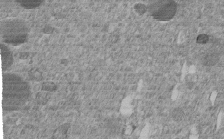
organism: C. elegans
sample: C. elegans embryo early stage